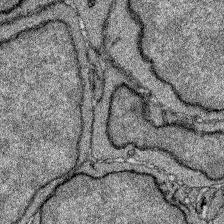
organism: Zebrafish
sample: Larval olfactory bulb